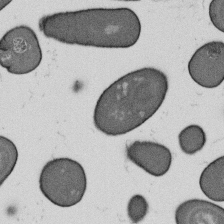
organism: B. subtilis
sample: Bacterial spore